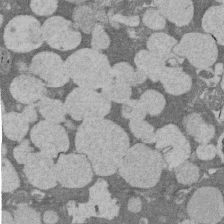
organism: Rat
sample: Salivary granule